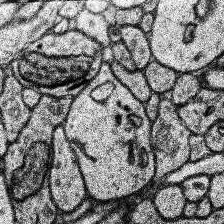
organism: Human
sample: Temporal Lobe